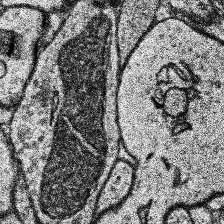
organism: Human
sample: Temporal Lobe